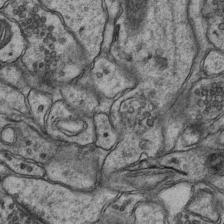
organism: Mouse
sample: CA1 Hippocampus